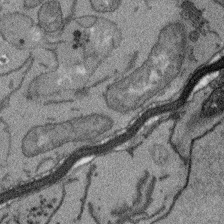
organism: Arabidopsis thaliana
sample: Root tip